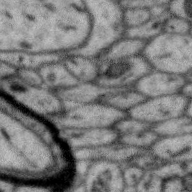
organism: Zebra finch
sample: Brain